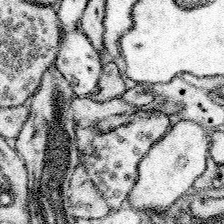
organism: Mouse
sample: Somatosensory cortex neuropil